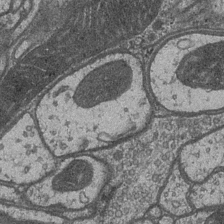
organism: Drosophila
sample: Optic medulla